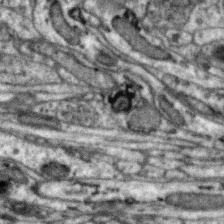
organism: Zebra finch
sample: Brain